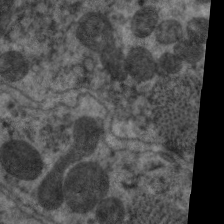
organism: C. elegans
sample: Pharynx